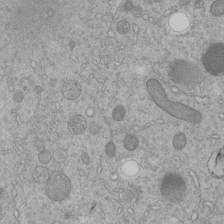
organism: C. elegans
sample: C. elegans embryo early stage